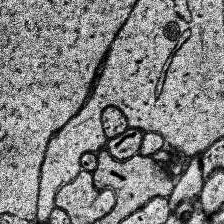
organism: Human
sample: Temporal Lobe